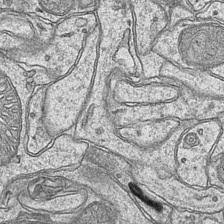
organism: Mouse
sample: CA1 Hippocampus